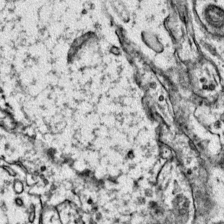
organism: Mouse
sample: Primary visual cortex